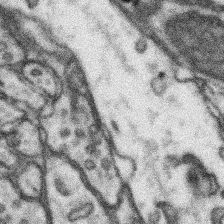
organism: Mouse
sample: Somatosensory cortex neuropil